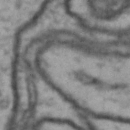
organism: Drosophila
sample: Brain